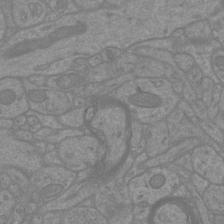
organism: Mouse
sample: Cortical neurons